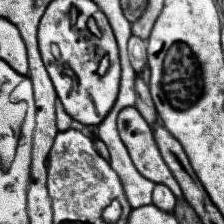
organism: Human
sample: Temporal Lobe